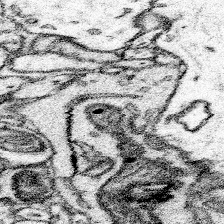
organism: Mouse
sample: Somatosensory cortex neuropil